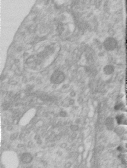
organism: Human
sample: Centriole in RPE cells